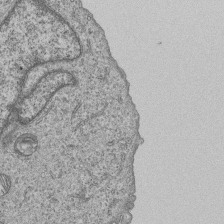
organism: Human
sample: MDA-MB-231 cells